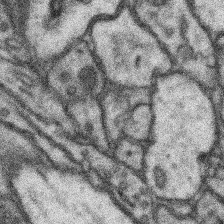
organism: Mouse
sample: Somatosensory cortex neuropil